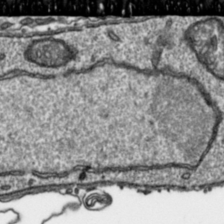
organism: Toxoplasma gondii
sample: Parasites in a vacuole inside a host cell